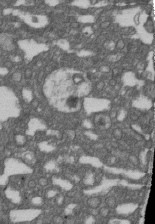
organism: Drosophila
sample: Nephrocyte